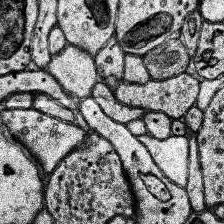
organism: Human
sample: Temporal Lobe